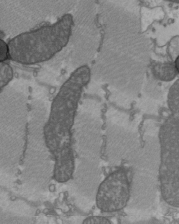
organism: C57BL Mouse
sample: Heart